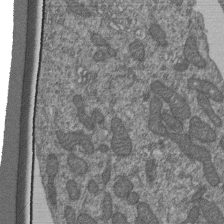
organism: Human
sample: Retinal organoid Rod and Cone cells